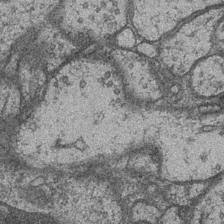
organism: Drosophila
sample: Optic medulla